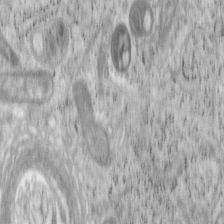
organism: Human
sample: HeLa cells